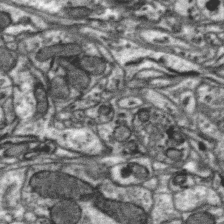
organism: Zebra finch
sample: Brain